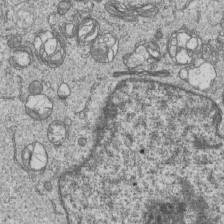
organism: Human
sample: MDA-MB-231 cells